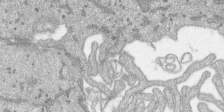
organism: Human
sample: Lung epithelial cells infected with SARS-CoV-2